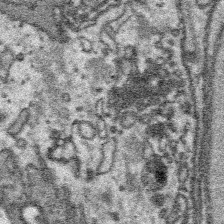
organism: Platynereis dumerilii